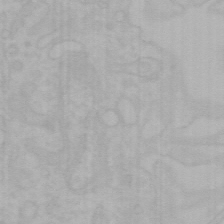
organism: Mouse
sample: Choroid plexus